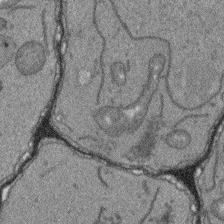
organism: Arabidopsis thaliana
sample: Root tip